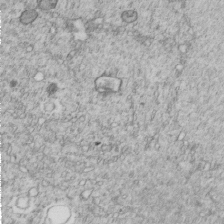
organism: C. elegans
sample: C. elegans embryo early stage